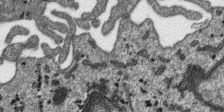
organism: Human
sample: Lung epithelial cells infected with SARS-CoV-2